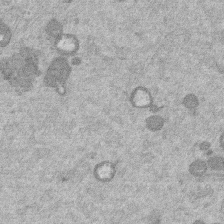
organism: Mouse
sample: Dividing mouse embryo 1 cell stage